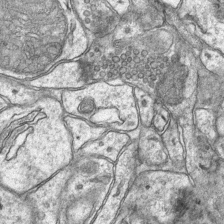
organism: Mouse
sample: CA1 Hippocampus